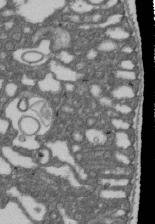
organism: Drosophila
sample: Nephrocyte